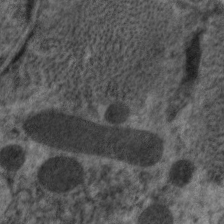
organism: C. elegans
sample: Pharynx